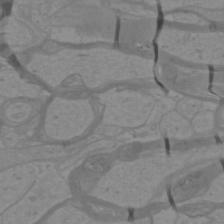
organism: Mouse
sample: Cortical neurons